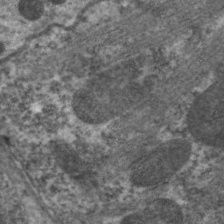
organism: C. elegans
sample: Pharynx